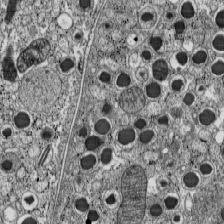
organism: C57BL Mouse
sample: Pancreatic islet